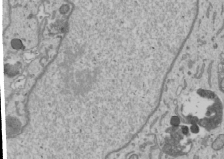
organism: Human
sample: Mitochondria in U2OS cells